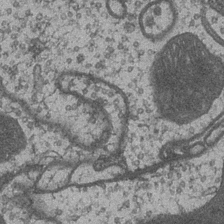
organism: Drosophila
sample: Optic medulla